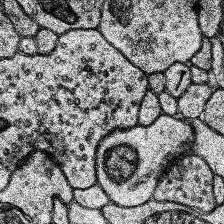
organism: Human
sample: Temporal Lobe